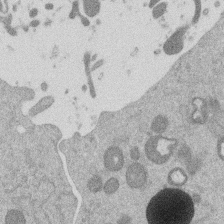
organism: Mouse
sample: Dividing mouse embryo 1 cell stage